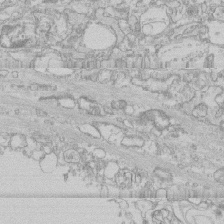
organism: Human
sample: CRL-1474